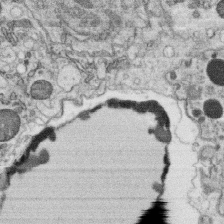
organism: C. elegans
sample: C. elegans oocyte; sperm cells